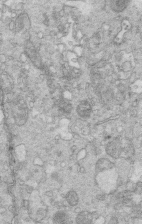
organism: Mouse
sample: Multiciliated cells